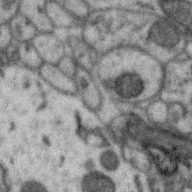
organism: Zebra finch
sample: Brain